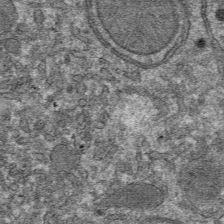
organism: Mouse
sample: Mouse hepatocytes